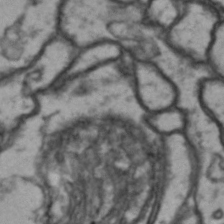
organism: Drosophila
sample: Brain